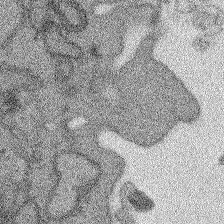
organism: Human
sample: HeLa cells